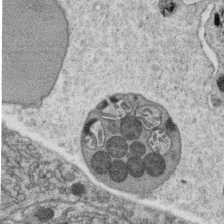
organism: C. elegans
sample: C. elegans oocyte; sperm cells